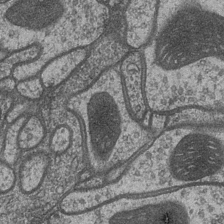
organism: Drosophila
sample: Optic medulla